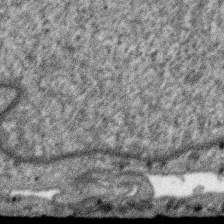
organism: Human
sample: Lung epithelial cells infected with SARS-CoV-2